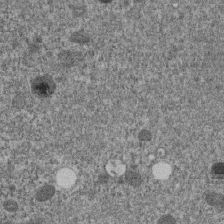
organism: C. elegans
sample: C. elegans embryo early stage